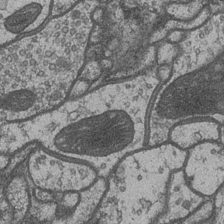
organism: Drosophila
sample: Optic medulla